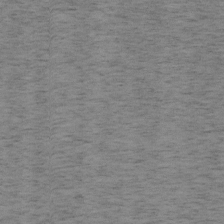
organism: Mouse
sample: OT-I killer T cells with ID8 ovarian cancer cells